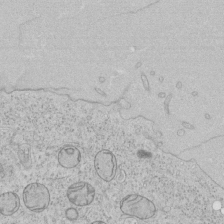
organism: Human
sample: Mitochondria in HCT116 cells